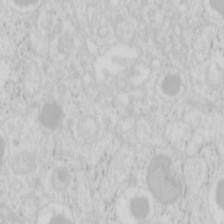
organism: Mouse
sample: Pancreas